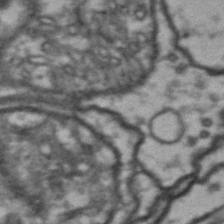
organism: Drosophila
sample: Brain